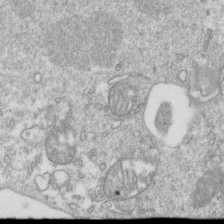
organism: Mouse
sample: Activated OT-1 CD8+ T cells